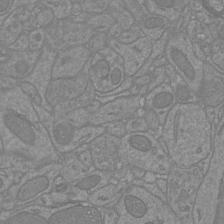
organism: Mouse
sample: Cortical neurons